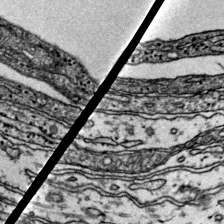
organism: Mouse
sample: Primary visual cortex